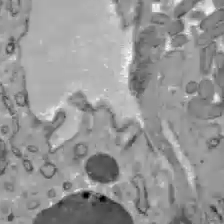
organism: C57BL Mouse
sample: Liver